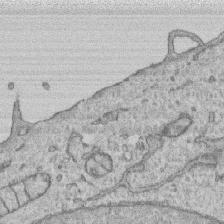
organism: Human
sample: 1205lu cells